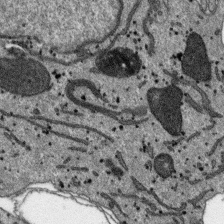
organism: Human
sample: Lung epithelial cells, uninfected (mock) control